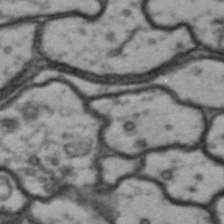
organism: Drosophila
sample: Brain